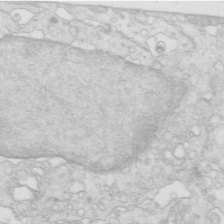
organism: Mouse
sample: Multiciliated cells